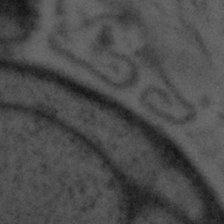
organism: Tuwongella immobilis